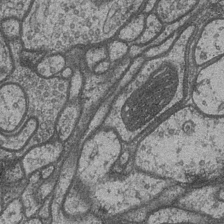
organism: Drosophila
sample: Optic medulla